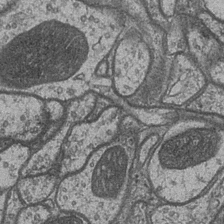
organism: Drosophila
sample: Optic medulla